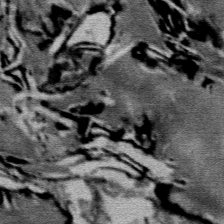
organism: Mouse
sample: Mouse Salivary gland